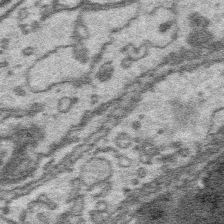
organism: Platynereis dumerilii